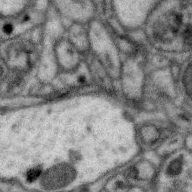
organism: Zebra finch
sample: Brain